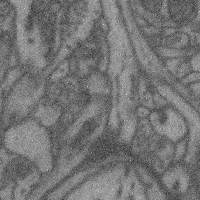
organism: Mouse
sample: Cerebral cortex